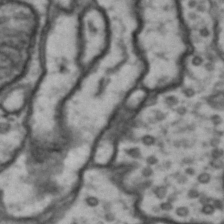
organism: Drosophila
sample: Brain